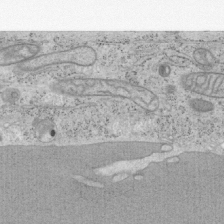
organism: Human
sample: HeLa cells